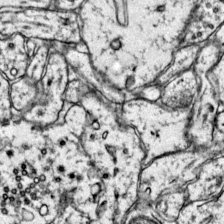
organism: Mouse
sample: Primary visual cortex